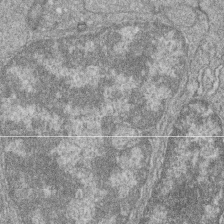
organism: Zebrafish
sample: Cilia; retinal pigment epithelium